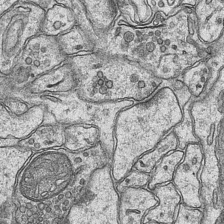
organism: Mouse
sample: CA1 Hippocampus